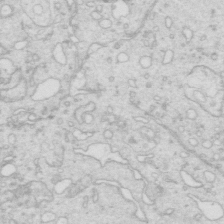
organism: Mouse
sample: Multiciliated cells